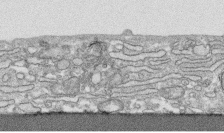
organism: Human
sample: CRL-1474